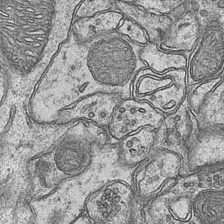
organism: Mouse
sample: CA1 Hippocampus